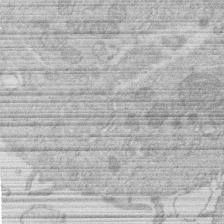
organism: Human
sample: Macrophage cells